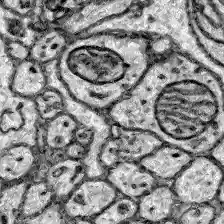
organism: Zebrafish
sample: Brain